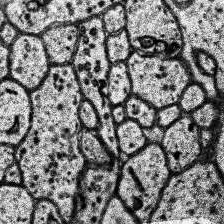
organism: Human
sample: Temporal Lobe